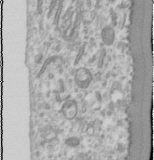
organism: Human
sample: Cilia; basal body in RPE cells